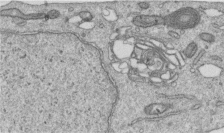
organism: Human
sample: Centriole in RPE cells